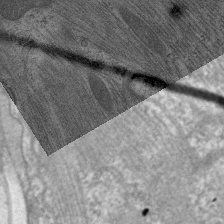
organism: C. elegans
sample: Pharynx